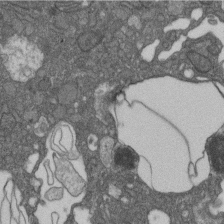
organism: Drosophila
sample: Nephrocyte